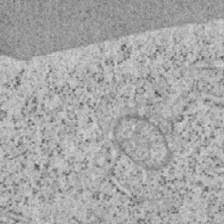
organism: Mouse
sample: OT-I killer T cells with ID8 ovarian cancer cells